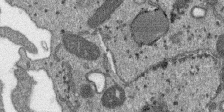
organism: Human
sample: Lung epithelial cells infected with SARS-CoV-2